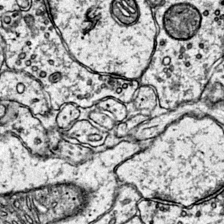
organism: Mouse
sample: Primary visual cortex